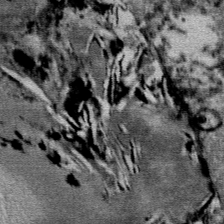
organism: Mouse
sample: Mouse Salivary gland